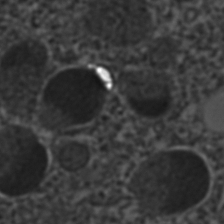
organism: C. elegans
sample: C. elegans embryo